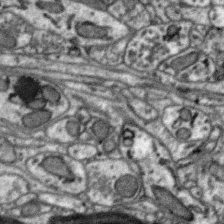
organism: Zebra finch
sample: Brain